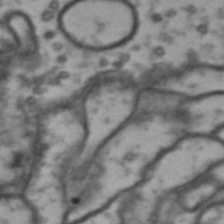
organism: Drosophila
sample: Brain